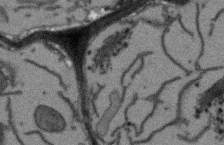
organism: Arabidopsis thaliana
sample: Root tip